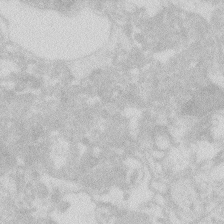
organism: Zebrafish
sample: Macrophage